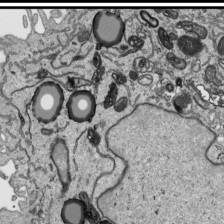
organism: Human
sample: Mitochondria in HCT116 cells